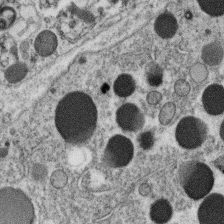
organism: C. elegans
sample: C. elegans oocyte; sperm cells